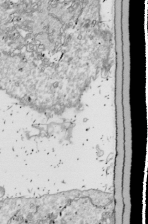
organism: Drosophila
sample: Cell division; meiosis; drosophila spermatocytes